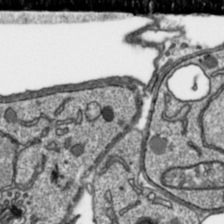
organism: Toxoplasma gondii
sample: Parasites in a vacuole inside a host cell